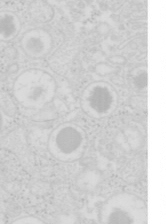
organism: Mouse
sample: Pancreas